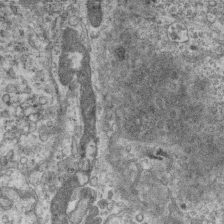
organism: Mouse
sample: Centriole in ependymal cells